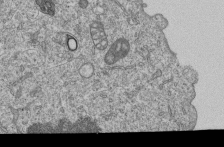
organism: Human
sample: MDA-MB-231 cells